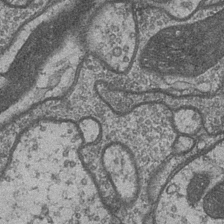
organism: Drosophila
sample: Optic medulla